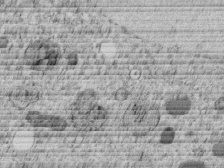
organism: C. elegans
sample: C. elegans embryo early stage